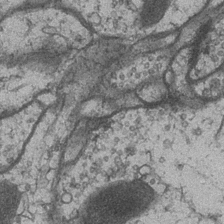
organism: Drosophila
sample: Optic medulla